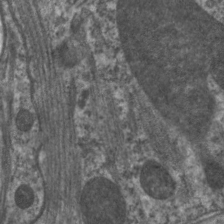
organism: C. elegans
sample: Pharynx